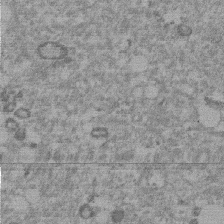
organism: Mouse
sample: Dividing mouse embryo 1 cell stage